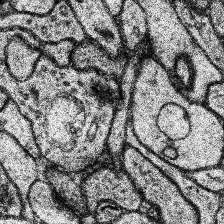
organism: Human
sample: Temporal Lobe